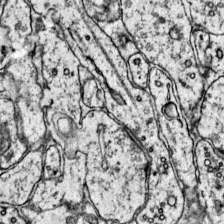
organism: Mouse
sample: Primary visual cortex